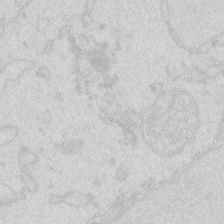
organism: Zebrafish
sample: Macrophage